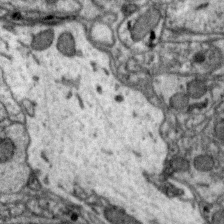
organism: Zebra finch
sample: Brain